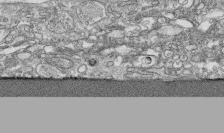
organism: Human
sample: CRL-1474